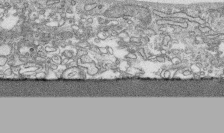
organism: Human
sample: CRL-1474